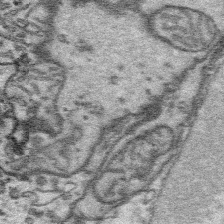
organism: Platynereis dumerilii